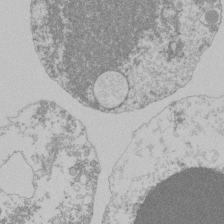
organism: Mouse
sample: Activated Pmel transgenic CD8+ T Cells